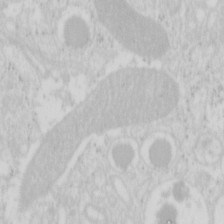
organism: Mouse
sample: Pancreas